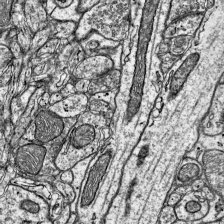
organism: Mouse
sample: Visual Cortex